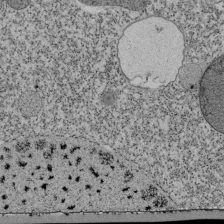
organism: Tetrahymena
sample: Cilia in tetrahymena